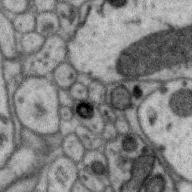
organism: Zebra finch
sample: Brain